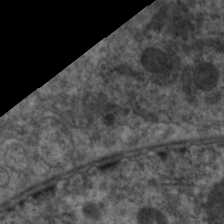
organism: C. elegans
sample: Pharynx